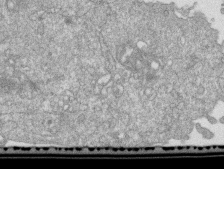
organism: Human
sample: HeLa cell HIV synapse